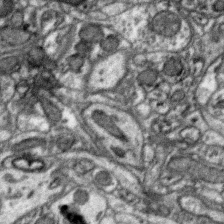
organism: Zebra finch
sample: Brain